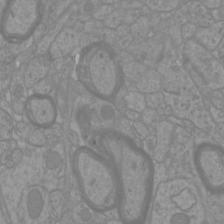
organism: Mouse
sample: Cortical neurons